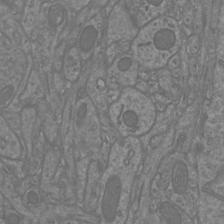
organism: Mouse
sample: Cortical neurons